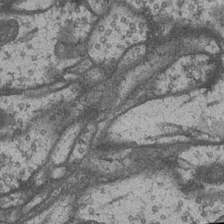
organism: Drosophila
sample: Optic medulla